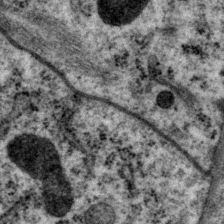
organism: P. pacificus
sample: Pharynx